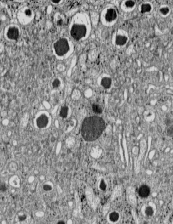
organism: C57BL Mouse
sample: Pancreatic islet